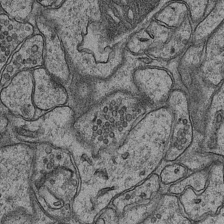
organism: Mouse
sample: CA1 Hippocampus